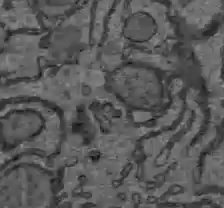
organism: C57BL Mouse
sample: Liver